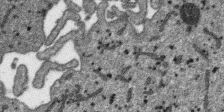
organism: Human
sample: Lung epithelial cells infected with SARS-CoV-2